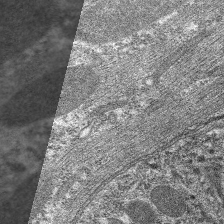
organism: C. elegans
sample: Pharynx